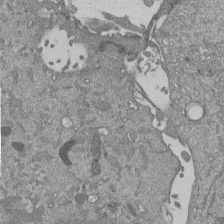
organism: Mouse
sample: ED-1 cell nuclei; centrioles